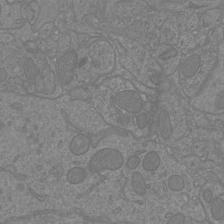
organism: Mouse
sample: Cortical neurons